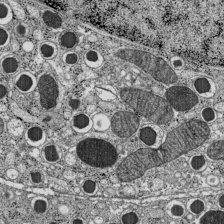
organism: C57BL Mouse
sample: Pancreatic islet